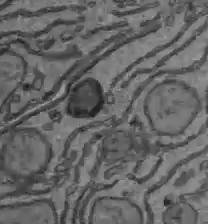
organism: C57BL Mouse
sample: Liver